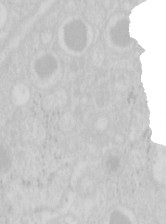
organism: Mouse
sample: Pancreas